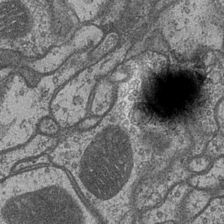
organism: Drosophila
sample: Optic medulla